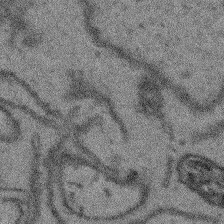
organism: Arabidopsis thaliana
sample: Root tip